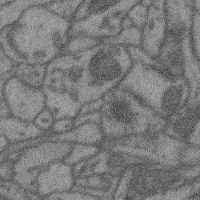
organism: Mouse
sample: Cerebral cortex